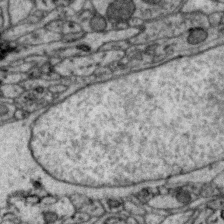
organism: Zebra finch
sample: Brain